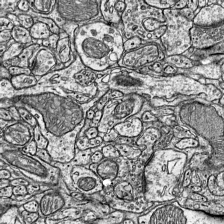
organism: Mouse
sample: Visual Cortex